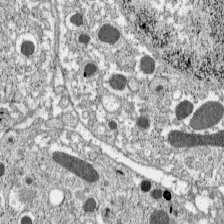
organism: C57BL Mouse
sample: Pancreatic islet